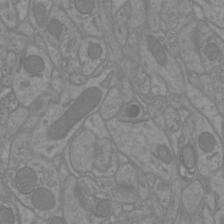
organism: Mouse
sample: Cortical neurons